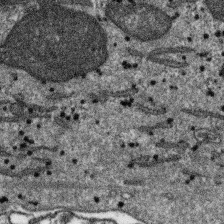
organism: Human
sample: Lung epithelial cells infected with SARS-CoV-2